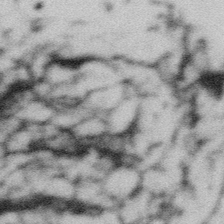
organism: Gemmata obscuriglobus